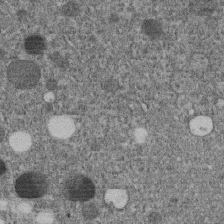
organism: C. elegans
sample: C. elegans embryo early stage